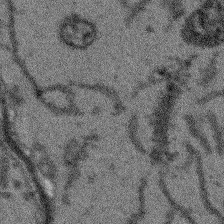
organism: Arabidopsis thaliana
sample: Root tip